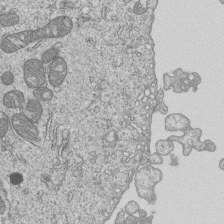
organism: Human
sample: MDA-MB-231 cells